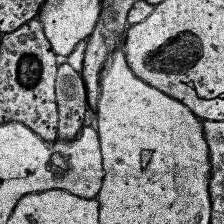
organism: Human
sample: Temporal Lobe